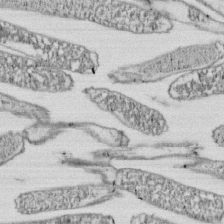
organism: E. coli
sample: Bacterial nucleoid